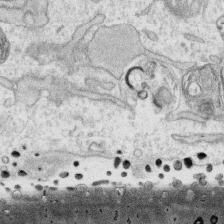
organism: Human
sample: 1205lu cells